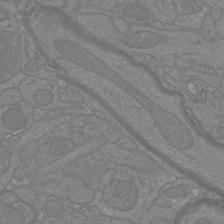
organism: Mouse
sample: Cortical neurons